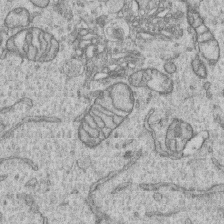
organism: Human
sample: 1205lu cells